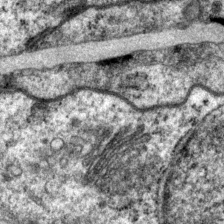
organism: P. pacificus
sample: Pharynx